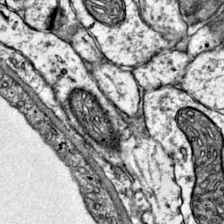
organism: Mouse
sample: Primary visual cortex